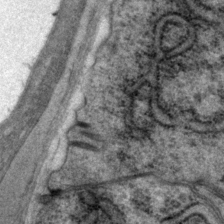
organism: P. pacificus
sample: Pharynx